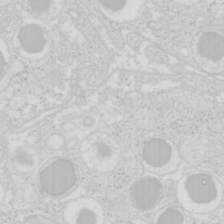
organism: Mouse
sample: Pancreas